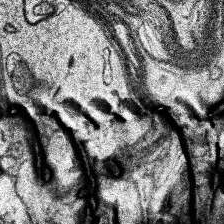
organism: Human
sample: Temporal Lobe